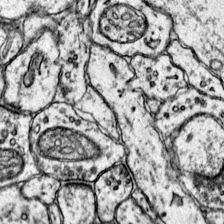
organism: Mouse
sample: Primary visual cortex